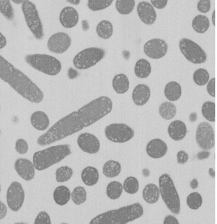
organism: E. coli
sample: Bacterial nucleoid